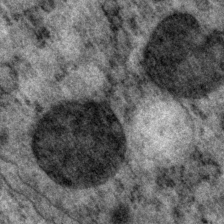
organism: P. pacificus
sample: Pharynx